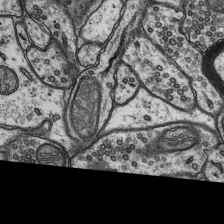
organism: Rat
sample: Hippocampus